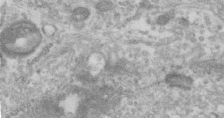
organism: Human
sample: Centriole in RPE cells